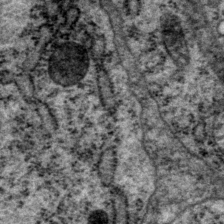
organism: P. pacificus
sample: Pharynx